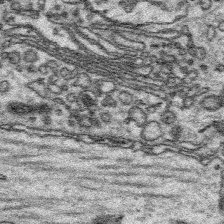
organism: Platynereis dumerilii